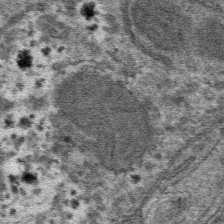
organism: Mouse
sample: Mouse hepatocytes